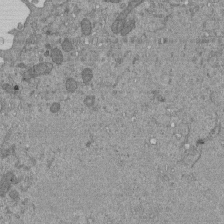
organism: Mouse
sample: ED-1 cell nuclei; centrioles